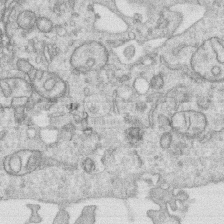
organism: Human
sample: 1205lu cells